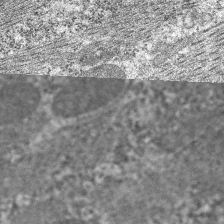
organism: C. elegans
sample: Pharynx